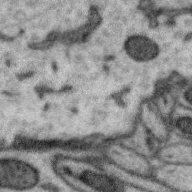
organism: Zebra finch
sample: Brain